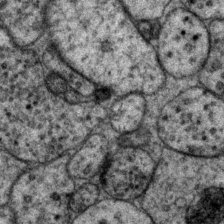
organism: P. pacificus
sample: Pharynx